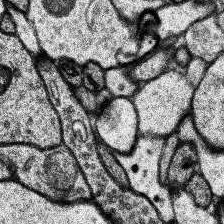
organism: Human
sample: Temporal Lobe